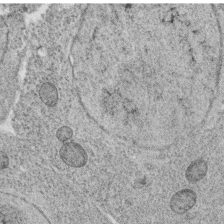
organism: C. elegans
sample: C. elegans oocyte; sperm cells